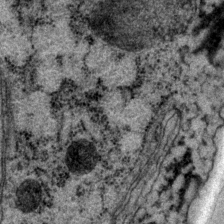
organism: P. pacificus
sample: Pharynx